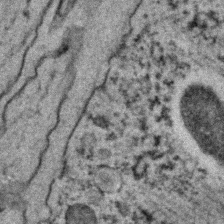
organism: C. elegans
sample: C. elegans embryo